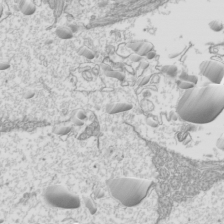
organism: Mouse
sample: Cilia; mouse epididymis